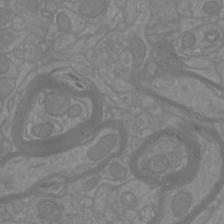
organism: Mouse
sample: Cortical neurons